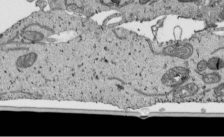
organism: Human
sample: Mitochondria in HCT116 cells